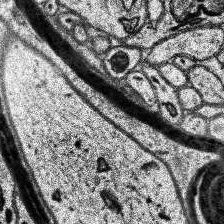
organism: Human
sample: Temporal Lobe